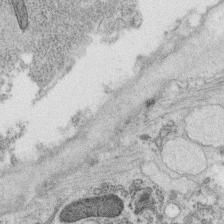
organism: C. elegans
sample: C. elegans oocyte; sperm cells